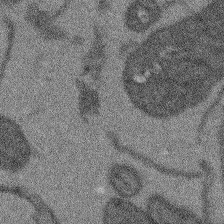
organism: Arabidopsis thaliana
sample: Root tip